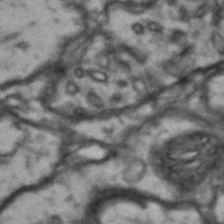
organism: Drosophila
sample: Brain